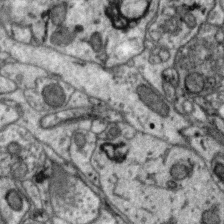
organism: Zebra finch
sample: Brain